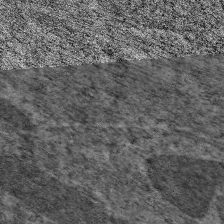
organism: C. elegans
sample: Pharynx